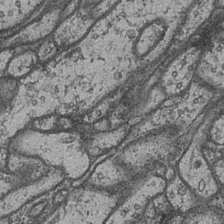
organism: Drosophila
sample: Optic medulla